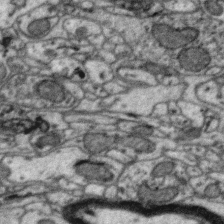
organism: Zebra finch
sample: Brain